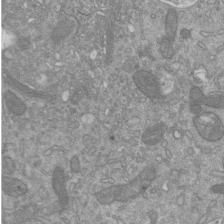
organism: Mouse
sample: ED-1 cell nuclei; centrioles